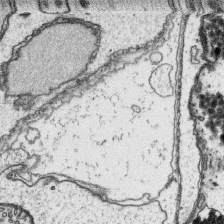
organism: Platynereis dumerilii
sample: Parapodia